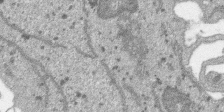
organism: Human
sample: Lung epithelial cells infected with SARS-CoV-2